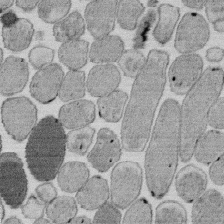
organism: E. coli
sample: Bacterial nucleoid